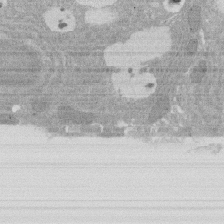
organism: Rat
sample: Salivary granule